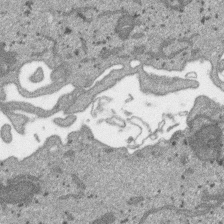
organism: Human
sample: Lung epithelial cells infected with SARS-CoV-2